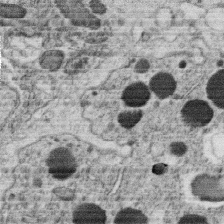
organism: C. elegans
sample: C. elegans oocyte; sperm cells